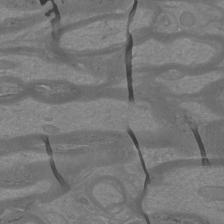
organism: Mouse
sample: Cortical neurons